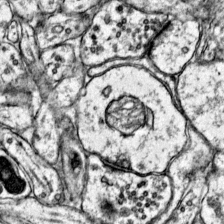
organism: Mouse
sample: Primary visual cortex